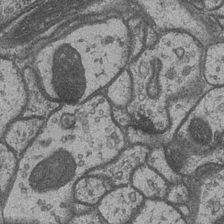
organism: Drosophila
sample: Optic medulla